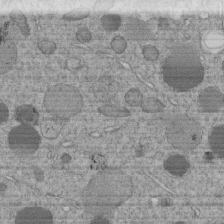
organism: C. elegans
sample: C. elegans embryo early stage